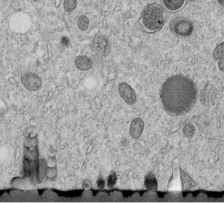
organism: C. elegans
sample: C. elegans embryo early stage